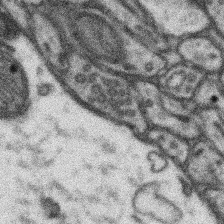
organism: Mouse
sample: Somatosensory cortex neuropil